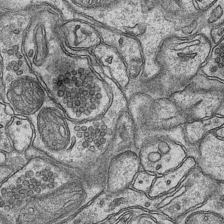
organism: Mouse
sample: CA1 Hippocampus